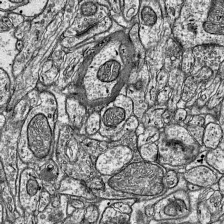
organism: Mouse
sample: Visual Cortex